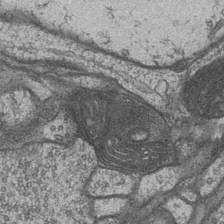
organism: Drosophila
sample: Optic medulla